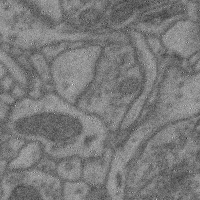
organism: Mouse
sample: Cerebral cortex